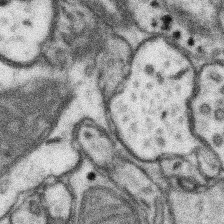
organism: Mouse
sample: Somatosensory cortex neuropil